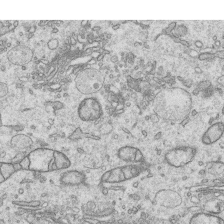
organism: Human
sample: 1205lu cells